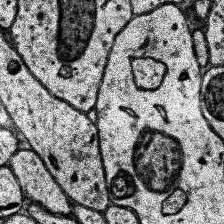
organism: Human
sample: Temporal Lobe